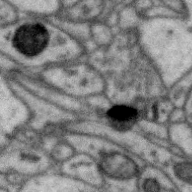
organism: Zebra finch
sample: Brain